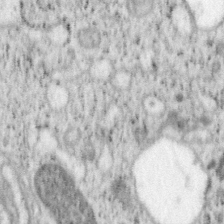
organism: Mouse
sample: OT-I killer T cells with ID8 ovarian cancer cells